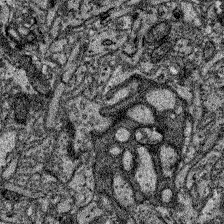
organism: Zebrafish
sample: Larval olfactory bulb